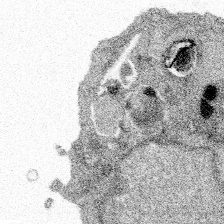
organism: Spongilla lacustris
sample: Multiple